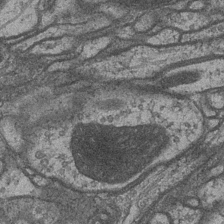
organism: Drosophila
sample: Optic medulla